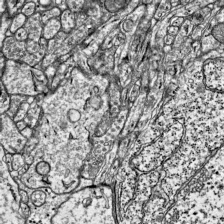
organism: Mouse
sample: Visual Cortex